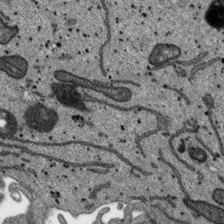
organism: Human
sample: Lung epithelial cells, uninfected (mock) control